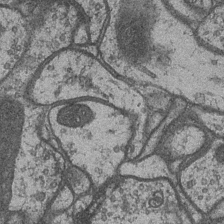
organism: Drosophila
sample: Optic medulla